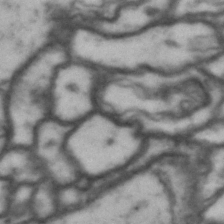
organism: Drosophila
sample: Brain